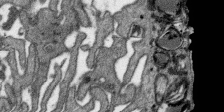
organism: Human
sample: Lung epithelial cells, uninfected (mock) control